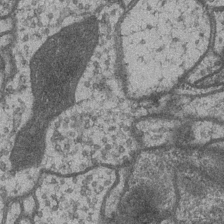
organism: Drosophila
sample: Optic medulla